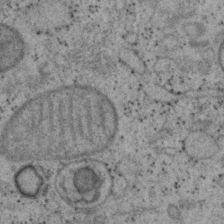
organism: Human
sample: HeLa cells